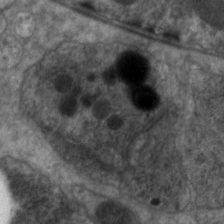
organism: C. elegans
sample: Pharynx